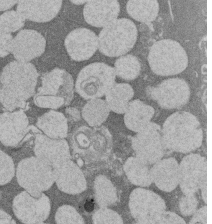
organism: Rat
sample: Salivary granule